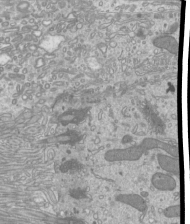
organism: Mouse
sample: Cilia; mouse epididymis